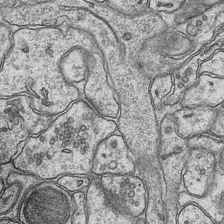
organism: Mouse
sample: CA1 Hippocampus